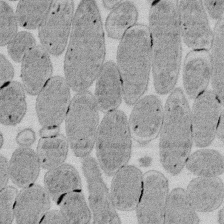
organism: E. coli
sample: Bacterial nucleoid